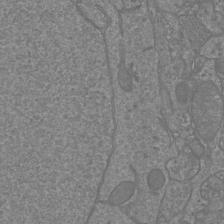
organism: Mouse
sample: Cortical neurons